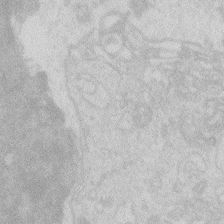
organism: Zebrafish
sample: Macrophage